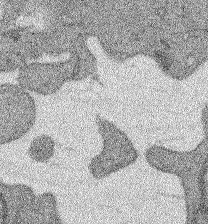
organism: Human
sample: HeLa cells